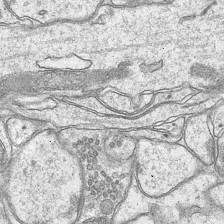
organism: Mouse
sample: CA1 Hippocampus